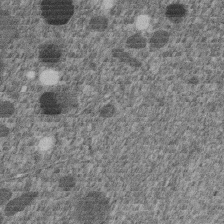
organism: C. elegans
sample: C. elegans embryo early stage